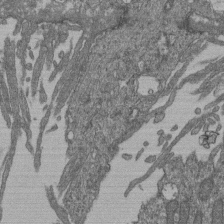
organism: Human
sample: Retinal organoid Rod and Cone cells